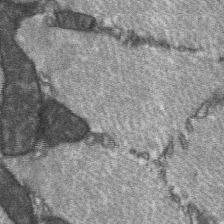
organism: C57BL Mouse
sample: Soleus